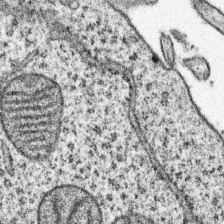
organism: Human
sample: HeLa cells